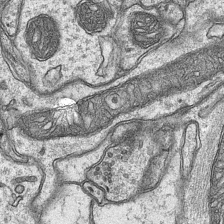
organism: Mouse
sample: CA1 Hippocampus